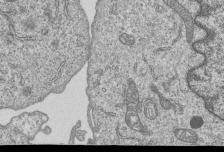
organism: Human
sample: MDA-MB-231 cells